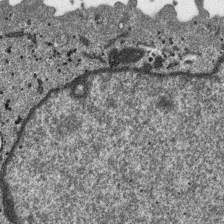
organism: Human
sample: Lung epithelial cells infected with SARS-CoV-2